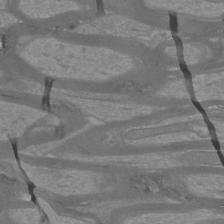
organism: Mouse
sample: Cortical neurons